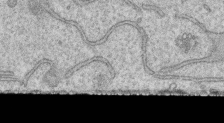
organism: Human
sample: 1205lu cells